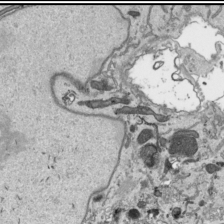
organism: Human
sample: Mitochondria in HCT116 cells